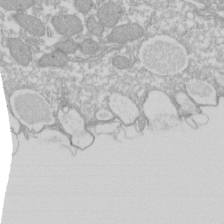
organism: Xenopus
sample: Cilia; centrioles in frog embryo cells